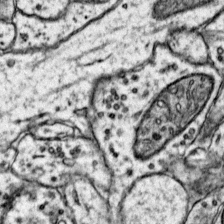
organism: Mouse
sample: Primary visual cortex